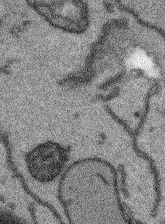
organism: Arabidopsis thaliana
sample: Root tip